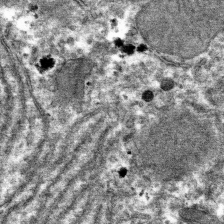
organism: Mouse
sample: Mouse hepatocytes